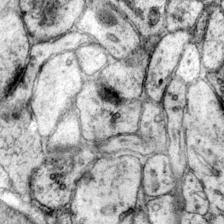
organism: Mouse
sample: Primary visual cortex